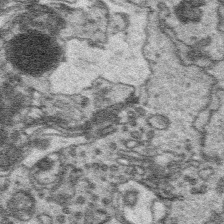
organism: Platynereis dumerilii